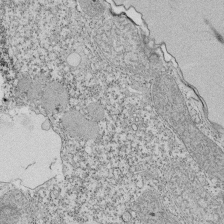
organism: Tetrahymena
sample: Cilia in tetrahymena